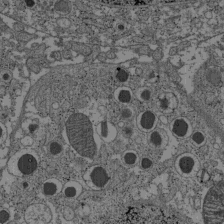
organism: C57BL Mouse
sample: Pancreatic islet